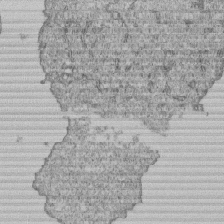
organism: Human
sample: MDA-MB-231 cells